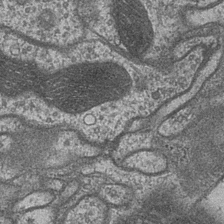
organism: Drosophila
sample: Optic medulla